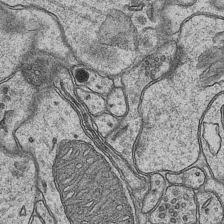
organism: Mouse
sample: CA1 Hippocampus